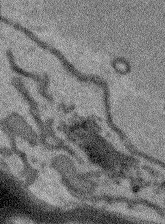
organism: Arabidopsis thaliana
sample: Root tip